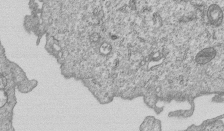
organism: Human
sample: MDA-MB-231 cells